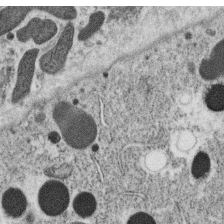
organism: C. elegans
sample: C. elegans oocyte; sperm cells